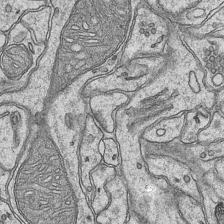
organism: Mouse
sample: CA1 Hippocampus